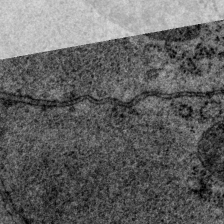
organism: P. pacificus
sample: Pharynx